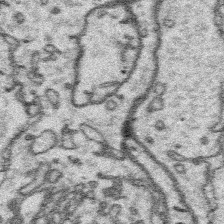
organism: Platynereis dumerilii